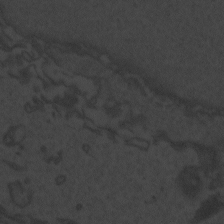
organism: Zebrafish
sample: Macrophage infected with Toxoplasma gondii